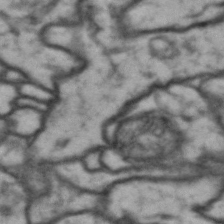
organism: Drosophila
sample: Brain